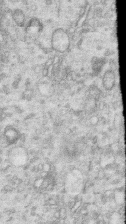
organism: Human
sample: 1205lu cells